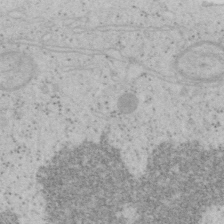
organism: Human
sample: HeLa cells